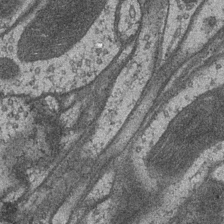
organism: Drosophila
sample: Optic medulla